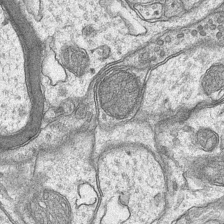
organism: Mouse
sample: CA1 Hippocampus